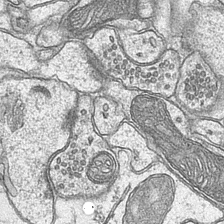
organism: Mouse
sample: CA1 Hippocampus